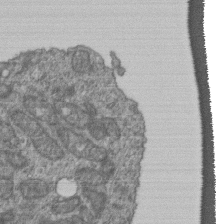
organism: Human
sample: Retinal organoid Rod and Cone cells